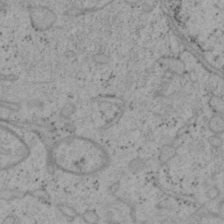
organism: Human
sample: HeLa cells